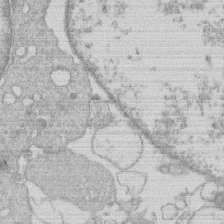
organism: Human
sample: Macrophage cells